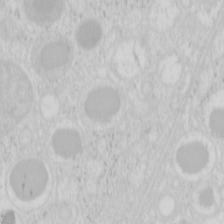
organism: Mouse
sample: Pancreas